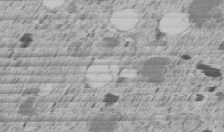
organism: C. elegans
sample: C. elegans embryo early stage